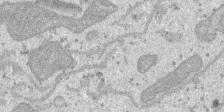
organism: Human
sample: Lung epithelial cells infected with SARS-CoV-2